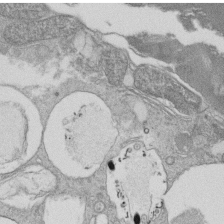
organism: Tetrahymena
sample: Cilia in tetrahymena